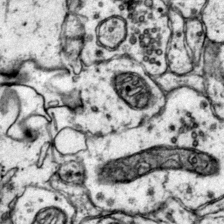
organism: Mouse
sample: Primary visual cortex